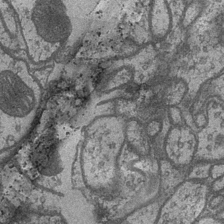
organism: Drosophila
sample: Optic medulla